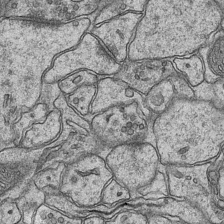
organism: Mouse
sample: CA1 Hippocampus